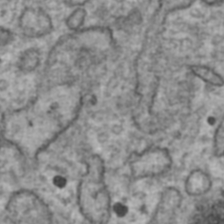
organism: Human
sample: Blood